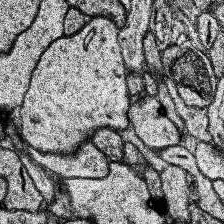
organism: Human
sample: Temporal Lobe